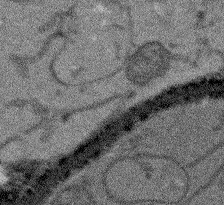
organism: Arabidopsis thaliana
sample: Root tip